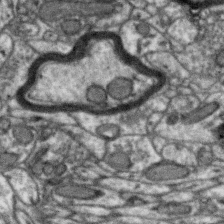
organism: Zebra finch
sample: Brain